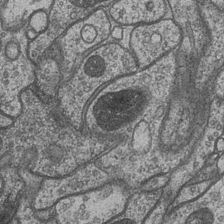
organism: Drosophila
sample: Optic medulla